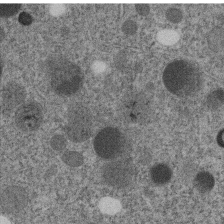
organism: C. elegans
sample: C. elegans embryo early stage